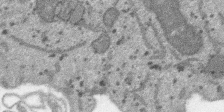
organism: Human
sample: Lung epithelial cells infected with SARS-CoV-2